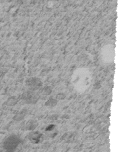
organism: C. elegans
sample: C. elegans embryo early stage